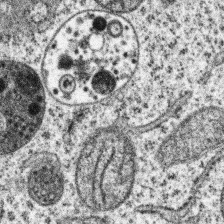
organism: Human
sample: HeLa cells